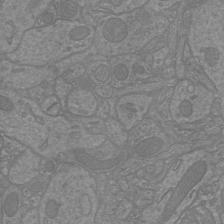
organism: Mouse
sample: Cortical neurons